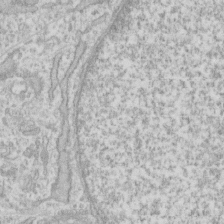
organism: Human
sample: Fibroblast cells